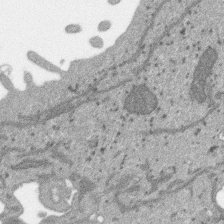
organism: Human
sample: Lung epithelial cells infected with SARS-CoV-2